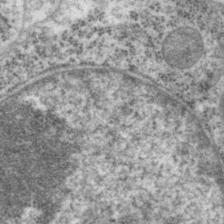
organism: P. pacificus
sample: Pharynx